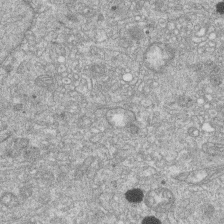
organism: Human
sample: HeLa cell HIV synapse